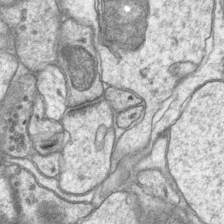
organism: Mouse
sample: CA1 Hippocampus